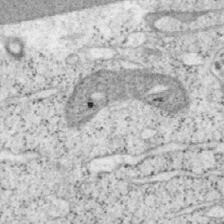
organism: Mouse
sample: OT-I killer T cells with ID8 ovarian cancer cells